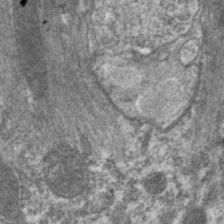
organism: C. elegans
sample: Pharynx